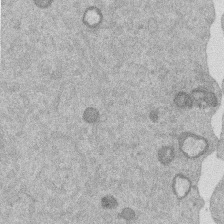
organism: Mouse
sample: Dividing mouse embryo 1 cell stage